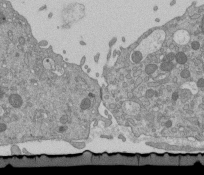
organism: Mouse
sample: ED-1 cell nuclei; centrioles